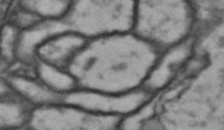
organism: Drosophila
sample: Brain